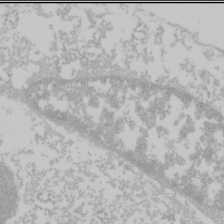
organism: Mouse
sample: Cancer cell death in ED-1 cells